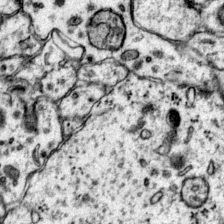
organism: Mouse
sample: Primary visual cortex